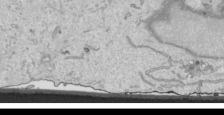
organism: Human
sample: Mitochondria in HCT116 cells